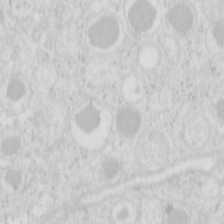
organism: Mouse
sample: Pancreas